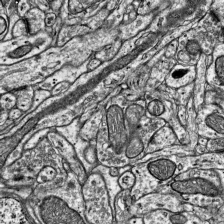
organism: Mouse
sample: Visual Cortex